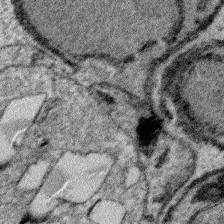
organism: Plasmodium falciparum